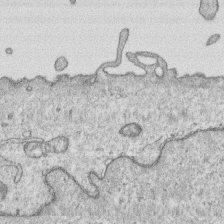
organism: Human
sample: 1205lu cells